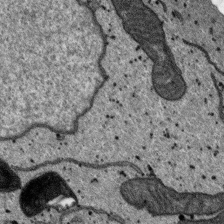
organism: Human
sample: Lung epithelial cells, uninfected (mock) control